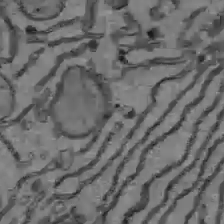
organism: C57BL Mouse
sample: Liver